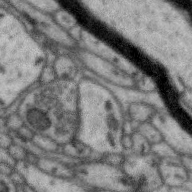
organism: Zebra finch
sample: Brain